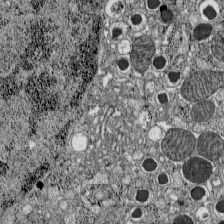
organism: C57BL Mouse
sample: Pancreatic islet